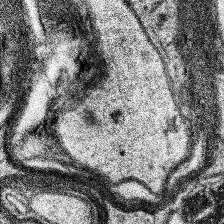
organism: Human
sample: Temporal Lobe